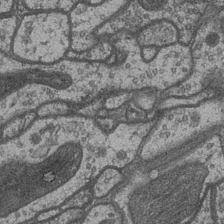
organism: Drosophila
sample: Optic medulla